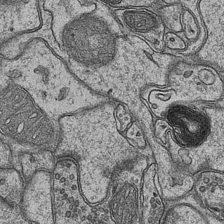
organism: Mouse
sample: CA1 Hippocampus